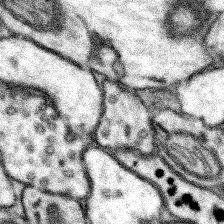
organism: Mouse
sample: Somatosensory cortex neuropil